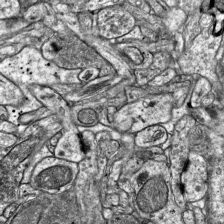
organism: Mouse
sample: Visual Cortex